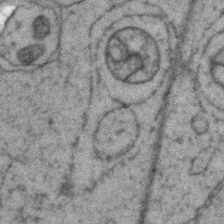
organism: Zebrafish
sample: Zebrafish embryo